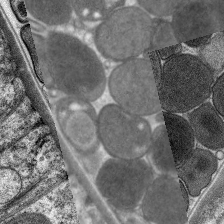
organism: C. elegans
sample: Pharynx